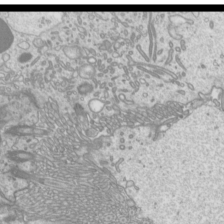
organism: Mouse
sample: Cilia; mouse epididymis